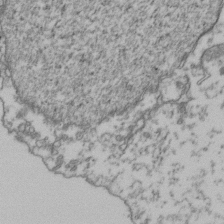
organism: Human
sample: Activated Jurkat CD4+ T cells